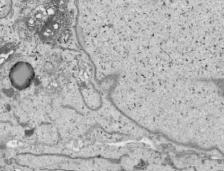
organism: Human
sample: Mitochondria in HCT116 cells